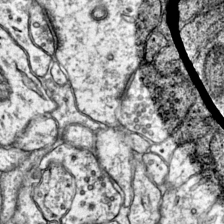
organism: Mouse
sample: Primary visual cortex